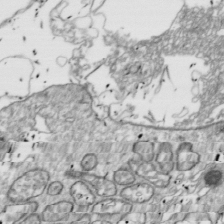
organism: Drosophila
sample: Cell division; meiosis; drosophila spermatocytes